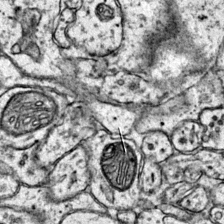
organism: Mouse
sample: Primary visual cortex